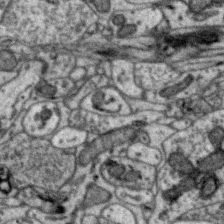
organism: Zebra finch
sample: Brain